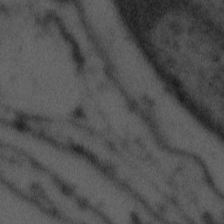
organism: Tuwongella immobilis